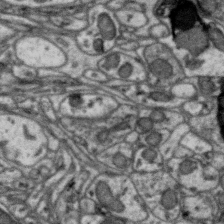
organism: Zebra finch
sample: Brain